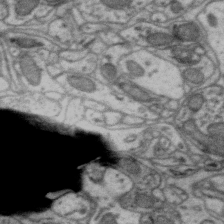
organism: Zebra finch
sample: Brain